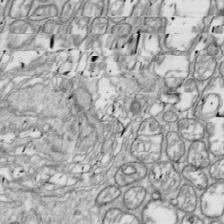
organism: Drosophila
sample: Cell division; meiosis; drosophila spermatocytes